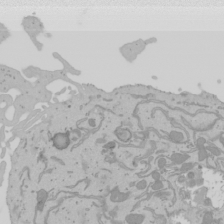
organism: Mouse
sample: Cancer cell death in ED-1 cells